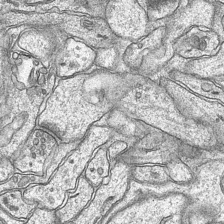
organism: Mouse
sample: CA1 Hippocampus